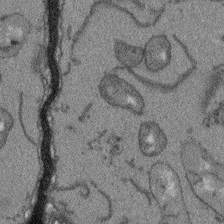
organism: Arabidopsis thaliana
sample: Root tip